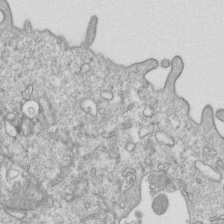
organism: Mouse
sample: Activated OT-1 CD8+ T cells